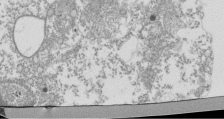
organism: Mouse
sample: Activated Pmel transgenic CD8+ T Cells